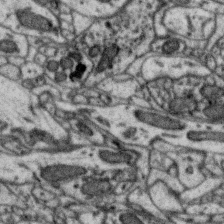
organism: Zebra finch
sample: Brain